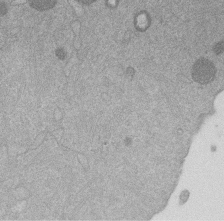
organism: Mouse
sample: Dividing mouse embryo 1 cell stage